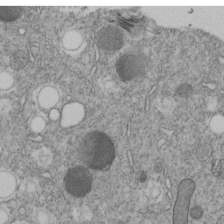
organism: C. elegans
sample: C. elegans embryo early stage